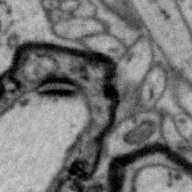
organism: Zebra finch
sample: Brain